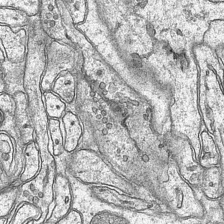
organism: Mouse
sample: CA1 Hippocampus